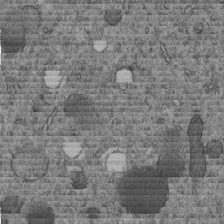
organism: C. elegans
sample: C. elegans embryo early stage